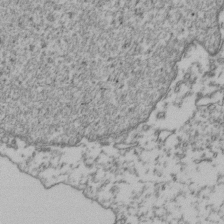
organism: Human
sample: Activated Jurkat CD4+ T cells